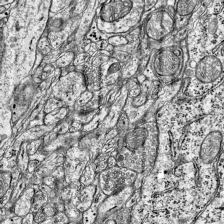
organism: Mouse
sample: Visual Cortex